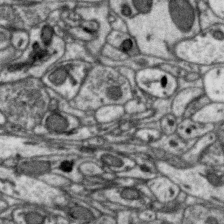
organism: Zebra finch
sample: Brain